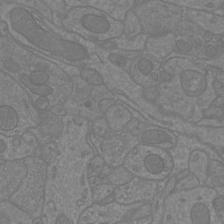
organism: Mouse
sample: Cortical neurons